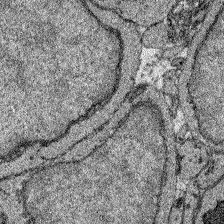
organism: Zebrafish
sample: Larval olfactory bulb